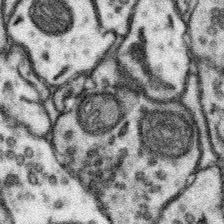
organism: Mouse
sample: Somatosensory cortex neuropil